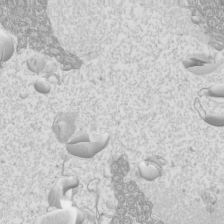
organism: Mouse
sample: Cilia; mouse epididymis